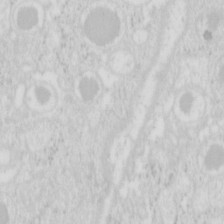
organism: Mouse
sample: Pancreas